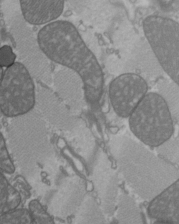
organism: C57BL Mouse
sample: Heart